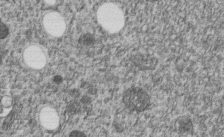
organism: C. elegans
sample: C. elegans embryo early stage